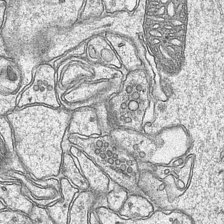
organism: Mouse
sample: CA1 Hippocampus